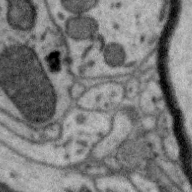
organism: Zebra finch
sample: Brain